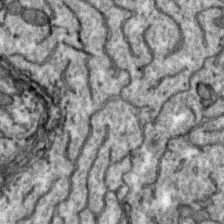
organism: Zebra finch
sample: Brain